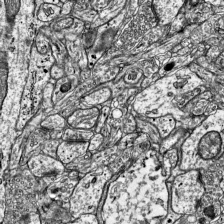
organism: Mouse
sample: Visual Cortex